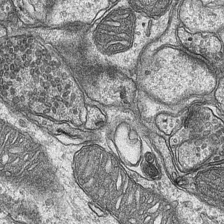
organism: Mouse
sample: CA1 Hippocampus